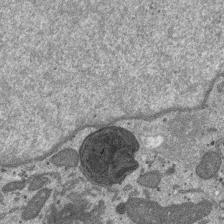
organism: Human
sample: Lung epithelial cells infected with SARS-CoV-2